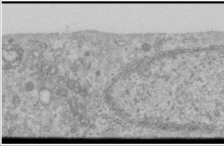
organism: Human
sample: Cilia; basal body in RPE cells